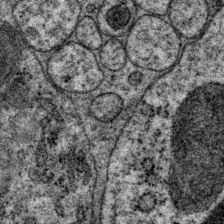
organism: P. pacificus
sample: Pharynx